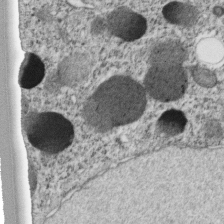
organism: C. elegans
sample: C. elegans embryo early stage